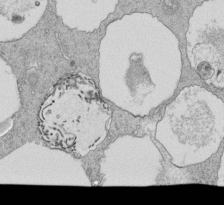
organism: Tetrahymena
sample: Cilia in tetrahymena